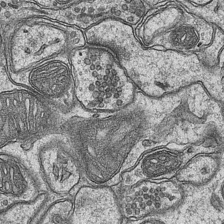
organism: Mouse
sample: CA1 Hippocampus